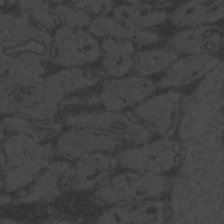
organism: Zebrafish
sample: Macrophage infected with Toxoplasma gondii